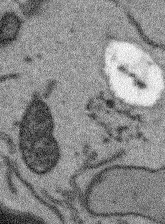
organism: Arabidopsis thaliana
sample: Root tip